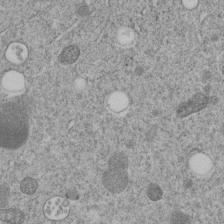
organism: C. elegans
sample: C. elegans embryo early stage